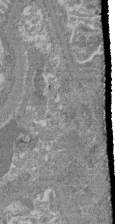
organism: Mouse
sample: Glomerulus